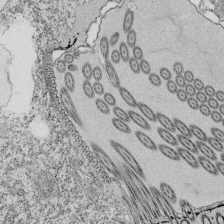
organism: Tetrahymena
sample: Cilia in tetrahymena